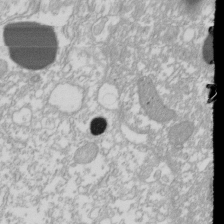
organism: Xenopus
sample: Cilia; centrioles in frog embryo cells